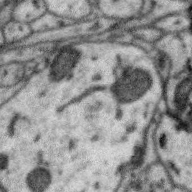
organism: Zebra finch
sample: Brain